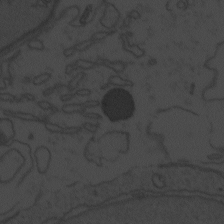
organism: Zebrafish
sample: Macrophage infected with Toxoplasma gondii